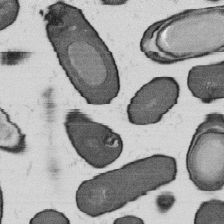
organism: B. subtilis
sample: Bacterial spore